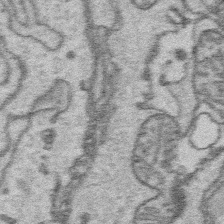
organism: Platynereis dumerilii